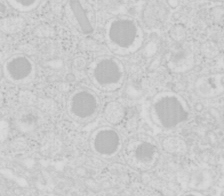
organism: Mouse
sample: Pancreas